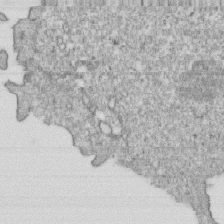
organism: Mouse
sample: Activated OT-1 CD8+ T cells